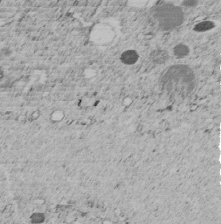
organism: C. elegans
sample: C. elegans embryo early stage